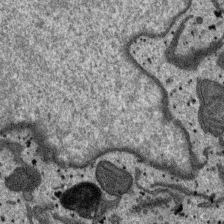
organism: Human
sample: Lung epithelial cells, uninfected (mock) control